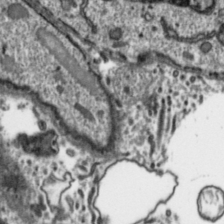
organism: Toxoplasma gondii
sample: Parasites in a vacuole inside a host cell